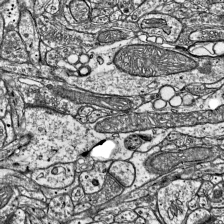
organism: Mouse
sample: Visual Cortex